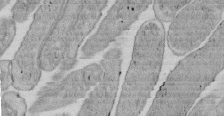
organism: E. coli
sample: Bacterial nucleoid